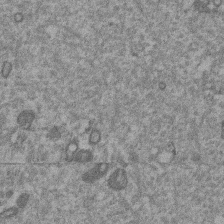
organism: Mouse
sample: Dividing mouse embryo 1 cell stage